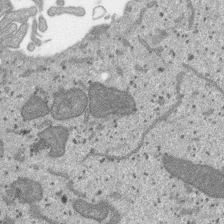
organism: Human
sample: Lung epithelial cells infected with SARS-CoV-2